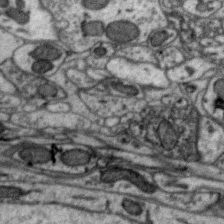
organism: Zebra finch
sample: Brain